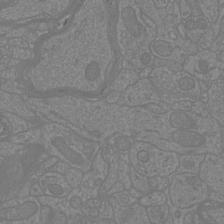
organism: Mouse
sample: Cortical neurons